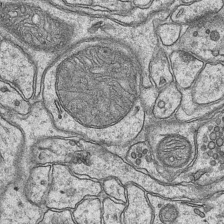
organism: Mouse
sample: CA1 Hippocampus